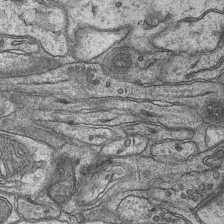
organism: Mouse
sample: CA1 Hippocampus